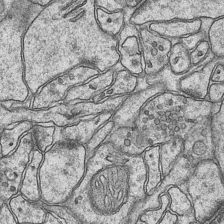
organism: Mouse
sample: CA1 Hippocampus